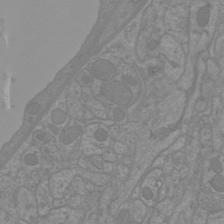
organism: Mouse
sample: Cortical neurons